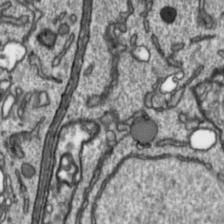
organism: Toxoplasma gondii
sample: Parasites in a vacuole inside a host cell